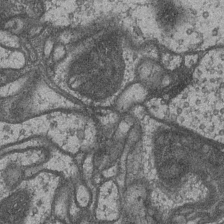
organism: Drosophila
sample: Optic medulla